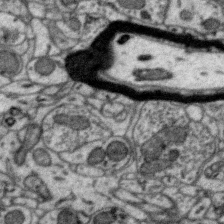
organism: Zebra finch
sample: Brain